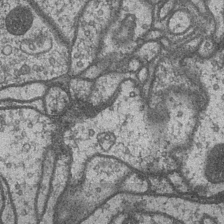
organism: Drosophila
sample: Optic medulla